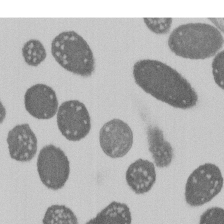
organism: E. coli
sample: Bacterial nucleoid